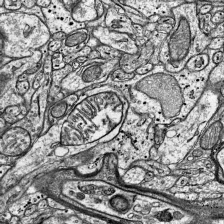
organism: Mouse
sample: Visual Cortex